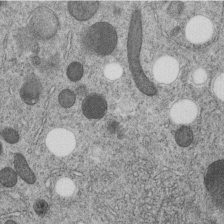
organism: C. elegans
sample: C. elegans embryo early stage